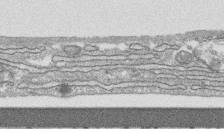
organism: Human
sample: CRL-1474